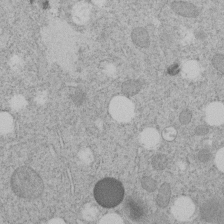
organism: C. elegans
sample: C. elegans embryo early stage